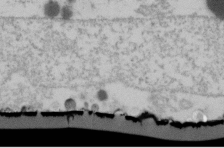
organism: Human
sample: U2-OS cells